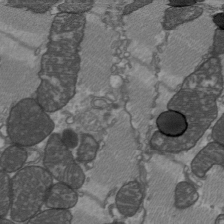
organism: C57BL Mouse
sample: Heart